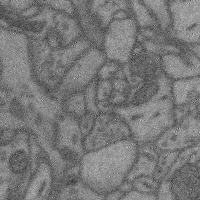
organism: Mouse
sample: Cerebral cortex